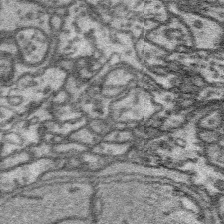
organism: Platynereis dumerilii